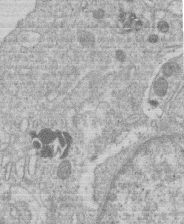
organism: Human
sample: Macrophage cells